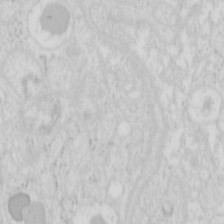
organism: Mouse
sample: Pancreas